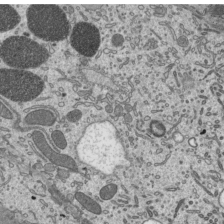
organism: Mouse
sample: Mouse epididymis efferent ductule cilia